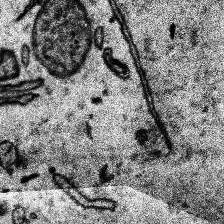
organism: Human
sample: Temporal Lobe